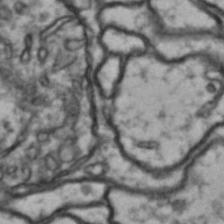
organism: Drosophila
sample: Brain